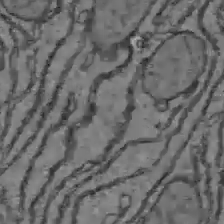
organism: C57BL Mouse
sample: Liver